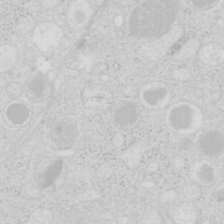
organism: Mouse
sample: Pancreas